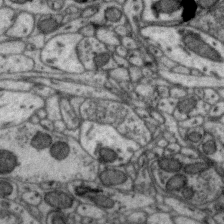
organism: Zebra finch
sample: Brain